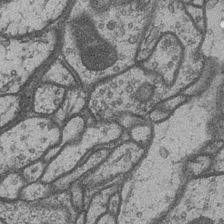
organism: Drosophila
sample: Optic medulla